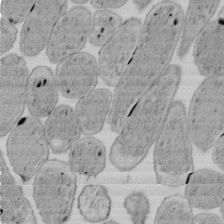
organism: E. coli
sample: Bacterial nucleoid